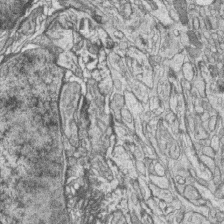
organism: Zebrafish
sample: synaptic ribbons in rod cells and cone cells